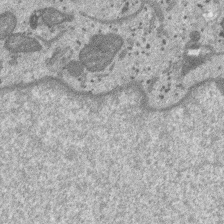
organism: Human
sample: Lung epithelial cells infected with SARS-CoV-2